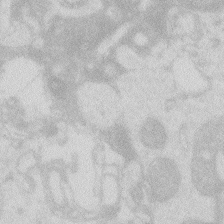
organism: Zebrafish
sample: Macrophage